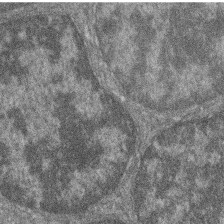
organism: Zebrafish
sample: Cilia; retinal pigment epithelium